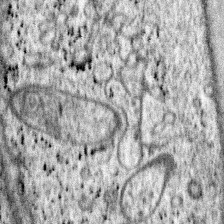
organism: Human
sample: HeLa cells